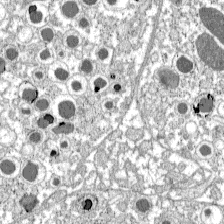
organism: C57BL Mouse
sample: Pancreatic islet